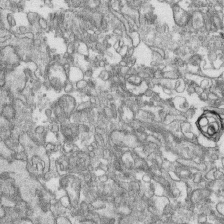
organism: Human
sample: CRL-1474